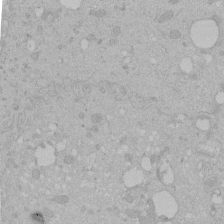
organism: Human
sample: Melanocyte Keratinocyte synapse skin construct